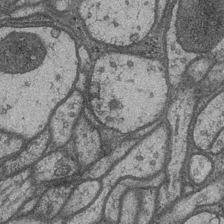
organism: Drosophila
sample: Optic medulla